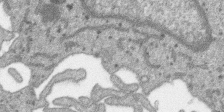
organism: Human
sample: Lung epithelial cells infected with SARS-CoV-2